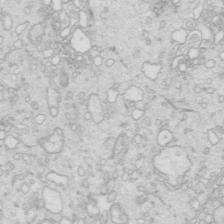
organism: Mouse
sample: Multiciliated cells